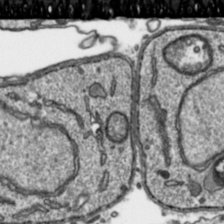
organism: Toxoplasma gondii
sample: Parasites in a vacuole inside a host cell